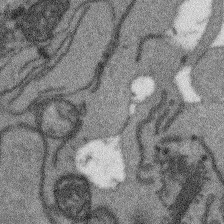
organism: Arabidopsis thaliana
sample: Root tip